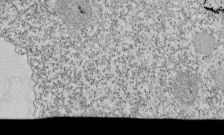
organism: Tetrahymena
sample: Cilia in tetrahymena